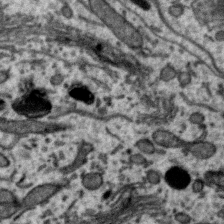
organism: Zebra finch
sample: Brain